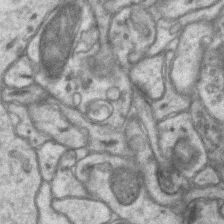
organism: Mouse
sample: CA1 Hippocampus